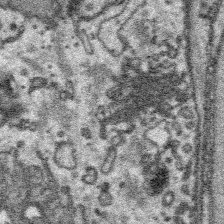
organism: Platynereis dumerilii